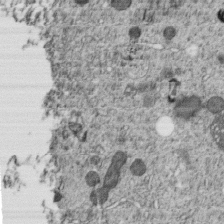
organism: C. elegans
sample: C. elegans embryo early stage